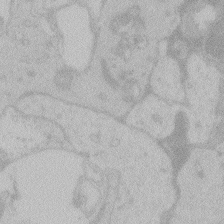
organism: Zebrafish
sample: Macrophage infected with Toxoplasma gondii